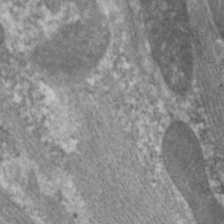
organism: C. elegans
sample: Pharynx